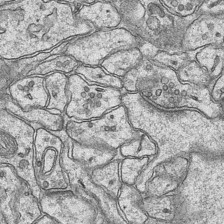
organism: Mouse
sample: CA1 Hippocampus